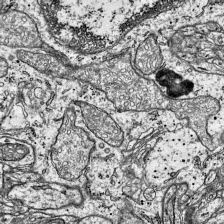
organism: Mouse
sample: Visual Cortex